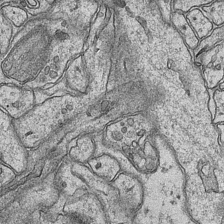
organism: Mouse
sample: CA1 Hippocampus